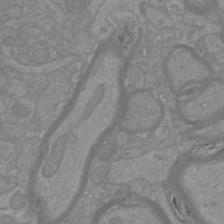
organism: Mouse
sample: Cortical neurons